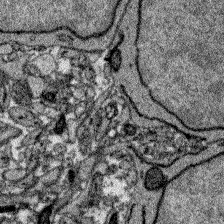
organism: Zebrafish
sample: Larval olfactory bulb